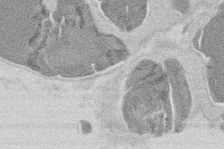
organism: Mouse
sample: T cell stromal cell synapse